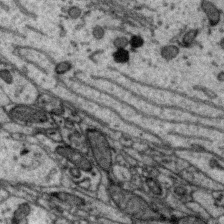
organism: Zebra finch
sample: Brain